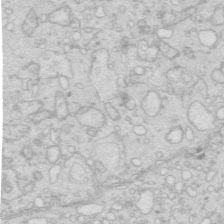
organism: Mouse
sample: Multiciliated cells